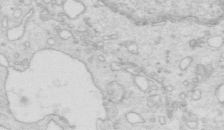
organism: Mouse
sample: Multiciliated cells